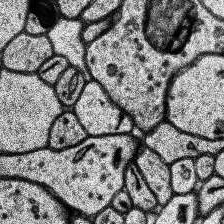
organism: Human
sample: Temporal Lobe